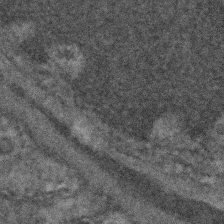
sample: Kidney